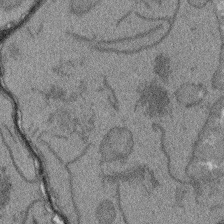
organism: Arabidopsis thaliana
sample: Root tip